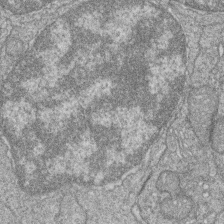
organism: Zebrafish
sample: Cilia; retinal pigment epithelium